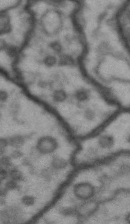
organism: Drosophila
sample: Brain